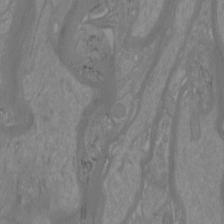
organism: Mouse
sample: Cortical neurons